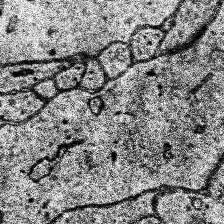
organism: Human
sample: Temporal Lobe